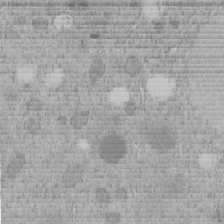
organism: C. elegans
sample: C. elegans embryo early stage